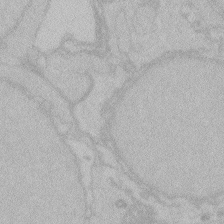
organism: Zebrafish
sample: Macrophage infected with Toxoplasma gondii